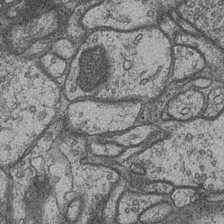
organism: Drosophila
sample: Optic medulla